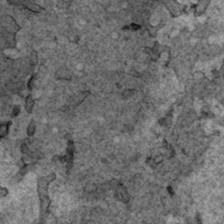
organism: Human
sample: Mitochondria in HCT116 cells